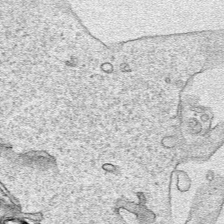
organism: Human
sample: Mitochondria in HCT116 cells